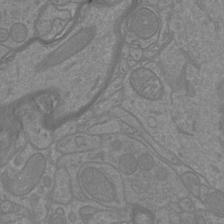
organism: Mouse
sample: Cortical neurons